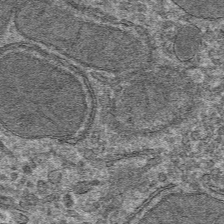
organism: Mouse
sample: Mouse hepatocytes